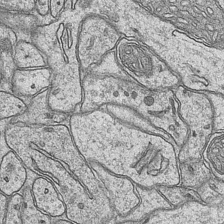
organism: Mouse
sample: CA1 Hippocampus